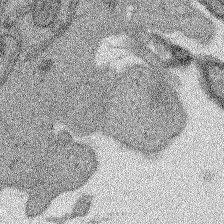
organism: Human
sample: HeLa cells